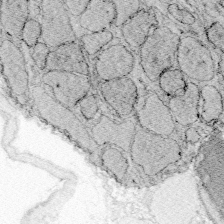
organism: Zebrafish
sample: Whole-Brain